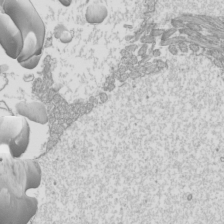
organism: Mouse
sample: Cilia; mouse epididymis